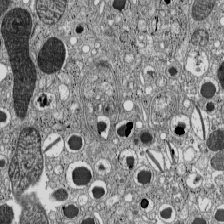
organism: C57BL Mouse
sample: Pancreatic islet